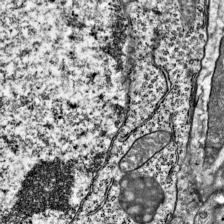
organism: Mouse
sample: Visual Cortex